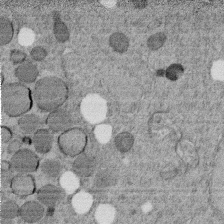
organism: C. elegans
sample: C. elegans embryo early stage